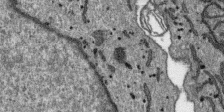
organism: Human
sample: Lung epithelial cells, uninfected (mock) control